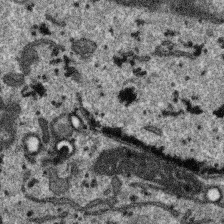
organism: Human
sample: Lung epithelial cells infected with SARS-CoV-2